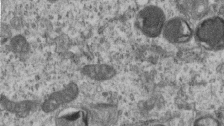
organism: Mouse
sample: Centriole in ependymal cells